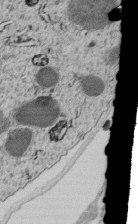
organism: C. elegans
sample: C. elegans embryo early stage